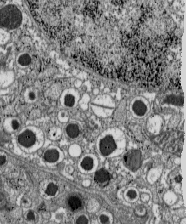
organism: C57BL Mouse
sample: Pancreatic islet